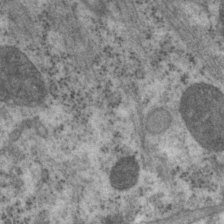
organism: P. pacificus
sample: Pharynx